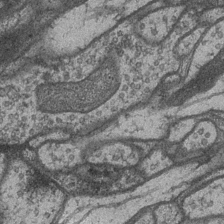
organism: Drosophila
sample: Optic medulla